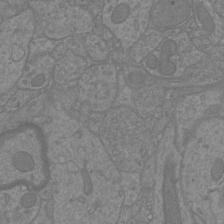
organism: Mouse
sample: Cortical neurons